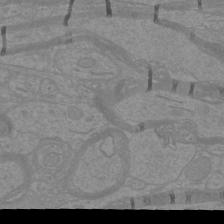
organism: Mouse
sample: Cortical neurons